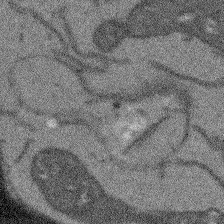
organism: Arabidopsis thaliana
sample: Root tip